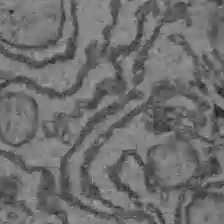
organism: C57BL Mouse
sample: Liver